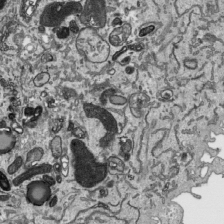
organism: Human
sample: Mitochondria in HCT116 cells